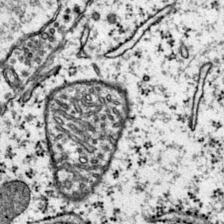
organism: Mouse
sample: Primary visual cortex